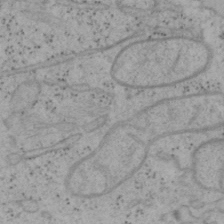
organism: Human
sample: HeLa cells